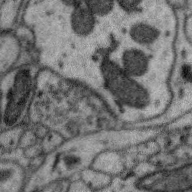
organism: Zebra finch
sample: Brain